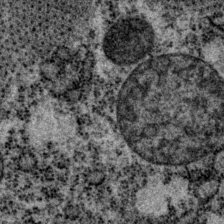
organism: P. pacificus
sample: Pharynx